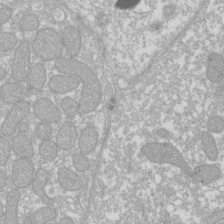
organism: Xenopus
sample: Cilia; centrioles in frog embryo cells